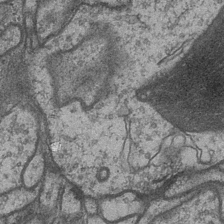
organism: Drosophila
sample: Optic medulla